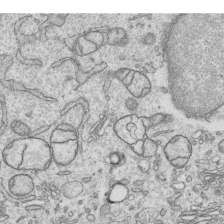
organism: Human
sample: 1205lu cells